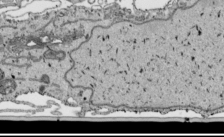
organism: Human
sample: Mitochondria in HCT116 cells